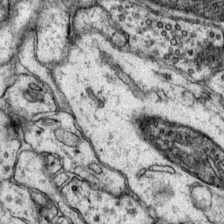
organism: Mouse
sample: Primary visual cortex